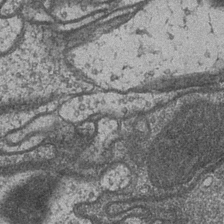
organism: Drosophila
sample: Optic medulla